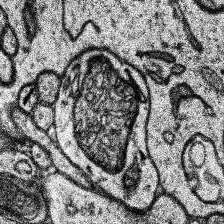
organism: Human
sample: Temporal Lobe